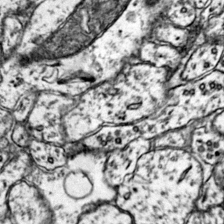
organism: Mouse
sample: Primary visual cortex